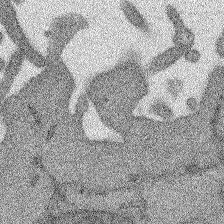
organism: Human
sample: HeLa cells